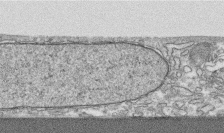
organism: Human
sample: CRL-1474